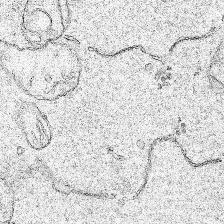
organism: Human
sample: Mitochondria in HCT116 cells